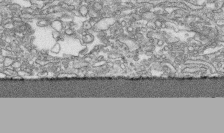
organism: Human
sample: CRL-1474